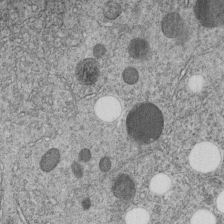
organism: C. elegans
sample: C. elegans embryo early stage